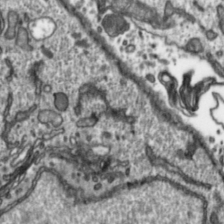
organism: Toxoplasma gondii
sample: Parasites in a vacuole inside a host cell